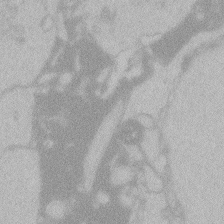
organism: Zebrafish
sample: Macrophage infected with Toxoplasma gondii